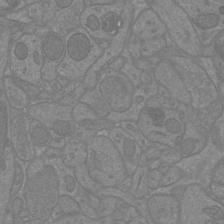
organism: Mouse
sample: Cortical neurons